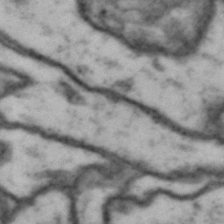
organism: Drosophila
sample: Brain